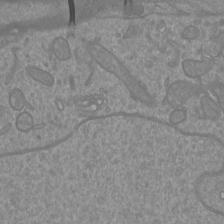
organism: Mouse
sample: Cortical neurons